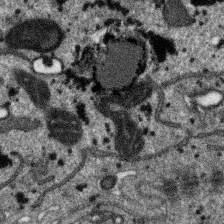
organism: Human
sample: Lung epithelial cells infected with SARS-CoV-2